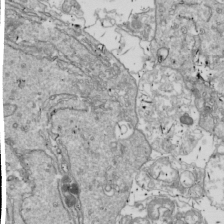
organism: Drosophila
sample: Cell division; meiosis; drosophila spermatocytes